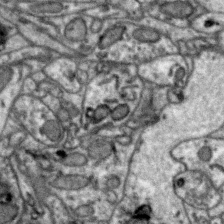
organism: Zebra finch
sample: Brain